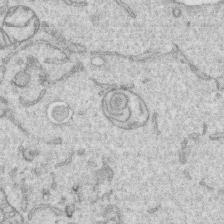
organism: Human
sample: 1205lu cells